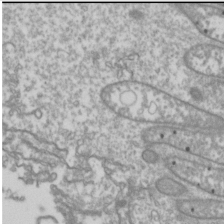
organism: Drosophila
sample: Cell division; meiosis; drosophila spermatocytes